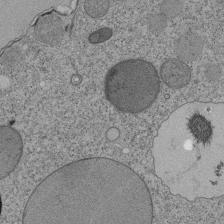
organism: Tetrahymena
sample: Cilia in tetrahymena